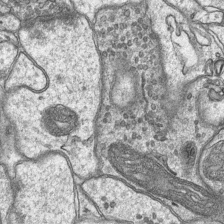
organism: Mouse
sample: CA1 Hippocampus